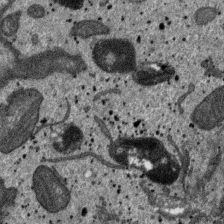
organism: Human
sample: Lung epithelial cells, uninfected (mock) control